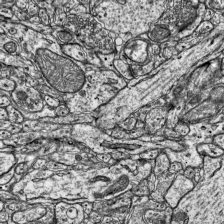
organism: Mouse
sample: Visual Cortex